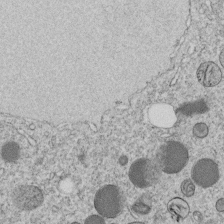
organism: C. elegans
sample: C. elegans embryo early stage